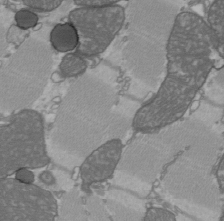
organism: C57BL Mouse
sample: Heart